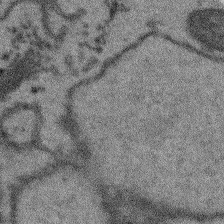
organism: Arabidopsis thaliana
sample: Root tip